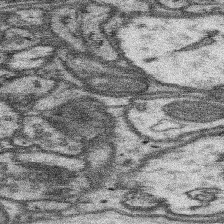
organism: Mouse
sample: Somatosensory cortex neuropil